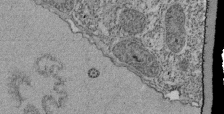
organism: Tetrahymena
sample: Cilia in tetrahymena